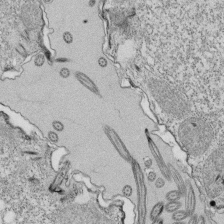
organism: Tetrahymena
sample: Cilia in tetrahymena